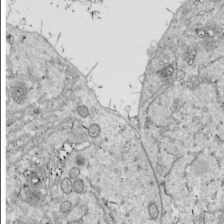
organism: Drosophila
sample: Cell division; meiosis; drosophila spermatocytes